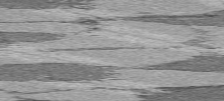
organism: C57BL Mouse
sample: Heart